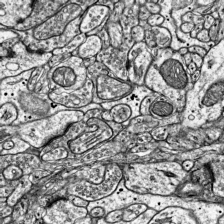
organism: Mouse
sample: Visual Cortex